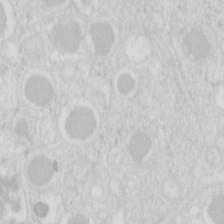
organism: Mouse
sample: Pancreas